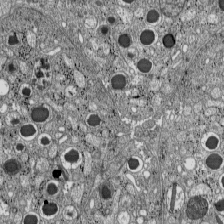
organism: C57BL Mouse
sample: Pancreatic islet